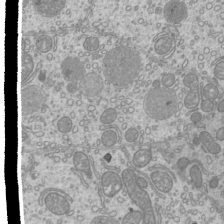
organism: Mouse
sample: Cilia; mouse epididymis